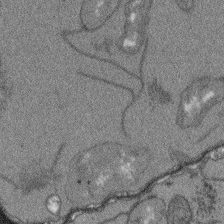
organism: Arabidopsis thaliana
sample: Root tip